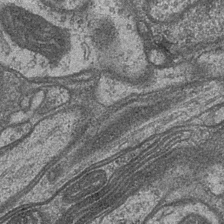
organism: Drosophila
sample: Optic medulla